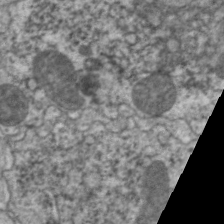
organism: C. elegans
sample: Pharynx